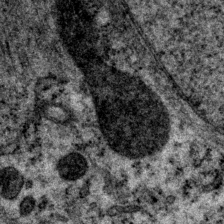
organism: P. pacificus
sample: Pharynx